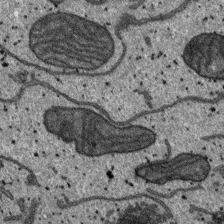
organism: Human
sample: Lung epithelial cells, uninfected (mock) control